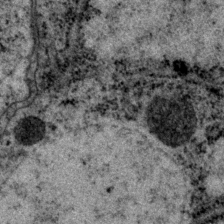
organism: P. pacificus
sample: Pharynx